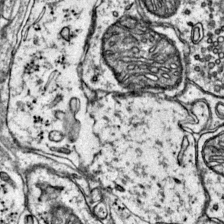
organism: Mouse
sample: Primary visual cortex